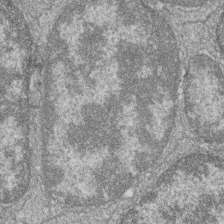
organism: Zebrafish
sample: Cilia; retinal pigment epithelium